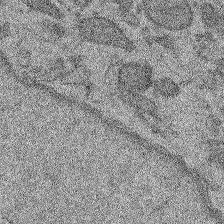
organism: Human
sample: HeLa cells